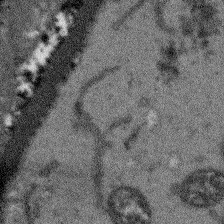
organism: Arabidopsis thaliana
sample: Root tip